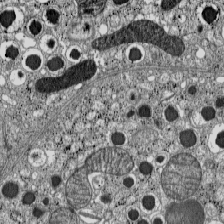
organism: C57BL Mouse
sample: Pancreatic islet